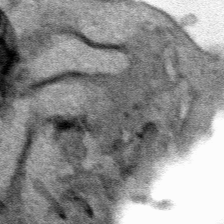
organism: Human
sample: Mitochondria in HCT116 cells